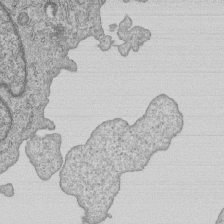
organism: Human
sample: MDA-MB-231 cells